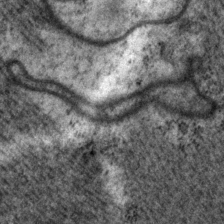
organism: P. pacificus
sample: Pharynx